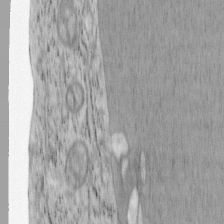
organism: Human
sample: HeLa cells